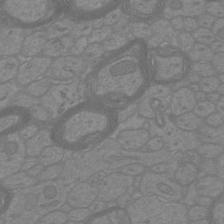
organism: Mouse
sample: Cortical neurons